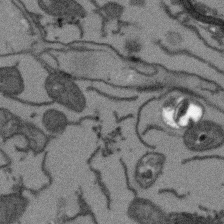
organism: Arabidopsis thaliana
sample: Root tip